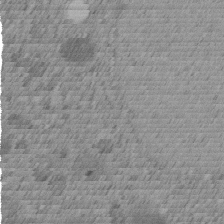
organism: C. elegans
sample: C. elegans embryo early stage